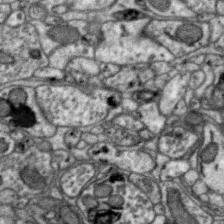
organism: Zebra finch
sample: Brain